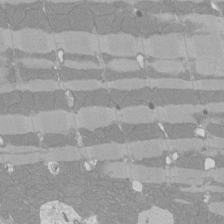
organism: Rat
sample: Left ventricle